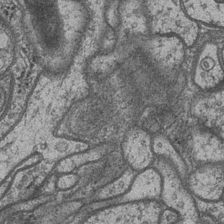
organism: Drosophila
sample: Optic medulla